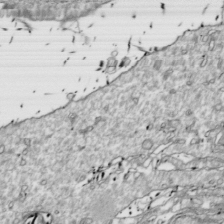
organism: Drosophila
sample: Cell division; meiosis; drosophila spermatocytes